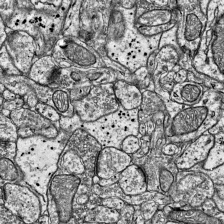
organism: Mouse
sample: Visual Cortex